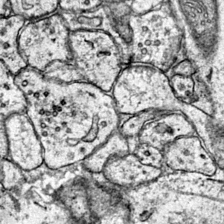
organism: Mouse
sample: Primary visual cortex